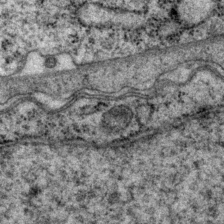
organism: P. pacificus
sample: Pharynx